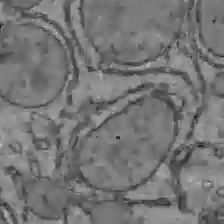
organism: C57BL Mouse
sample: Liver